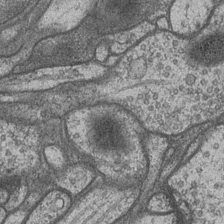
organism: Drosophila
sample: Optic medulla